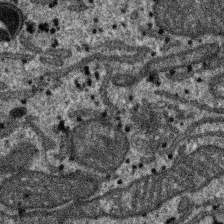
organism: Human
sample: Lung epithelial cells infected with SARS-CoV-2